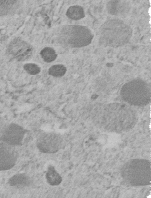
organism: C. elegans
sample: C. elegans embryo early stage